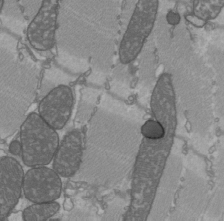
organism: C57BL Mouse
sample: Heart